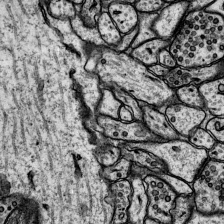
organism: Rat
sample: Hippocampus